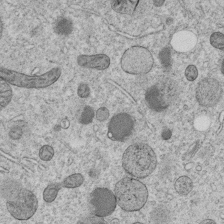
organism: C. elegans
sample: C. elegans embryo early stage